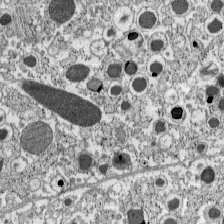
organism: C57BL Mouse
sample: Pancreatic islet